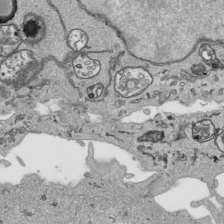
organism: Human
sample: Mitochondria in HCT116 cells